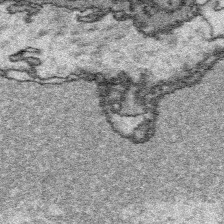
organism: Platynereis dumerilii